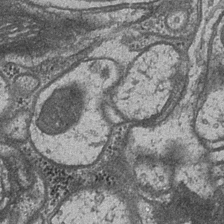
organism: Drosophila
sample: Optic medulla